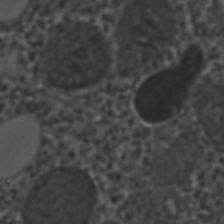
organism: C. elegans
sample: C. elegans embryo